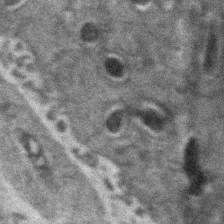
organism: Zebrafish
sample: Zebrafish embryo